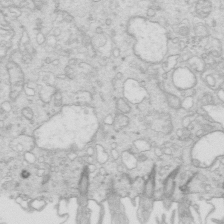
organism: Mouse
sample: Multiciliated cells